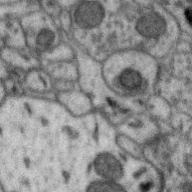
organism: Zebra finch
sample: Brain